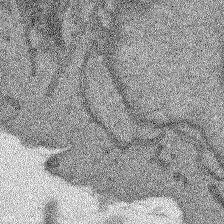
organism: Human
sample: HeLa cells